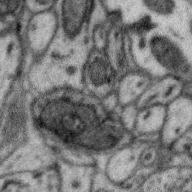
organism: Zebra finch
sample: Brain